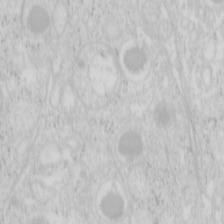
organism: Mouse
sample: Pancreas